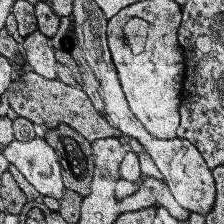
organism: Human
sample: Temporal Lobe